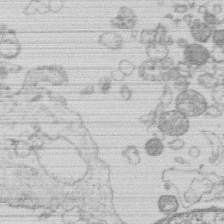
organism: Human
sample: Macrophage cells